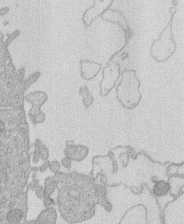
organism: Human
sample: Macrophage cells